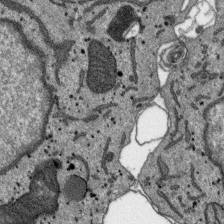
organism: Human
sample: Lung epithelial cells, uninfected (mock) control